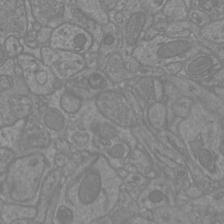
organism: Mouse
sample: Cortical neurons